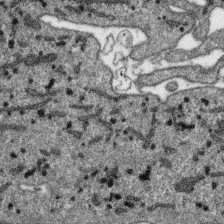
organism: Human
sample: Lung epithelial cells infected with SARS-CoV-2